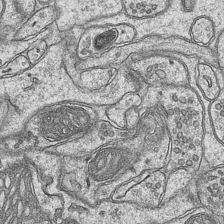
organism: Mouse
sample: CA1 Hippocampus